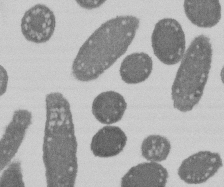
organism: E. coli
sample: Bacterial nucleoid